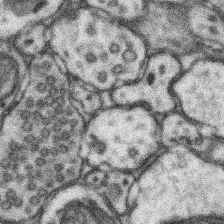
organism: Mouse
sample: Somatosensory cortex neuropil